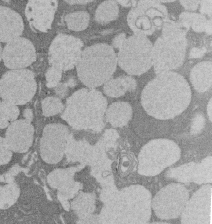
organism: Rat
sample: Salivary granule